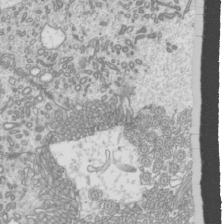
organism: Mouse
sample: Cilia; mouse epididymis